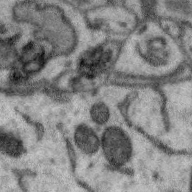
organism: Zebra finch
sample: Brain